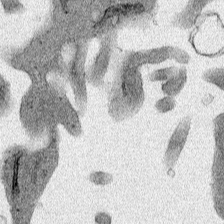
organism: Human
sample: Mitochondria in HCT116 cells